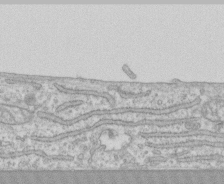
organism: Human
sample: CRL-1474